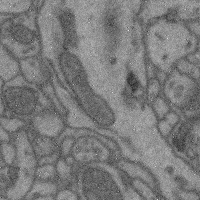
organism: Mouse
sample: Cerebral cortex